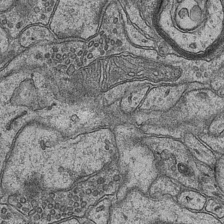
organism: Mouse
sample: CA1 Hippocampus